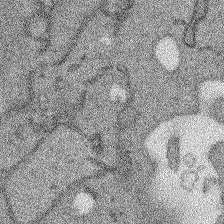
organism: Human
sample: HeLa cells